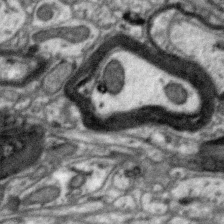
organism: Zebra finch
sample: Brain